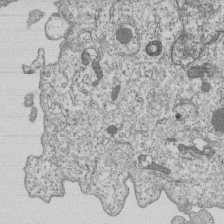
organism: Human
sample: MDA-MB-231 cells